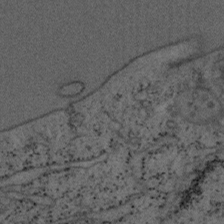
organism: Human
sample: HeLa cells